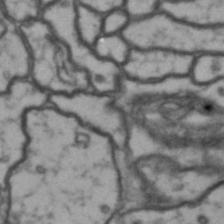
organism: Drosophila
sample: Brain